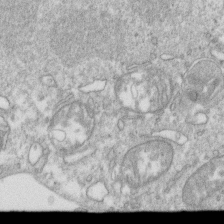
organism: Mouse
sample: Activated OT-1 CD8+ T cells